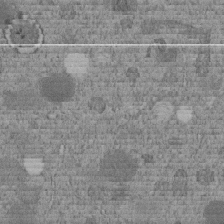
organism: C. elegans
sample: C. elegans embryo early stage